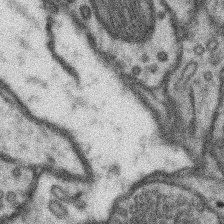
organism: Mouse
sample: Somatosensory cortex neuropil